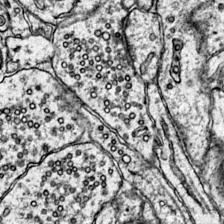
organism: Mouse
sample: Primary visual cortex